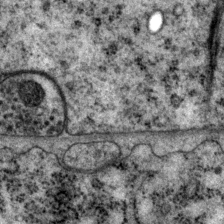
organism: P. pacificus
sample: Pharynx